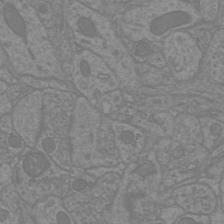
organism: Mouse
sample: Cortical neurons